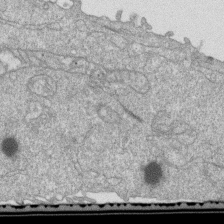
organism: Human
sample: HeLa cell HIV synapse